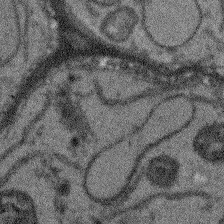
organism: Arabidopsis thaliana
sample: Root tip